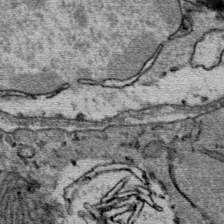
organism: Mouse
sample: Mouse Salivary gland